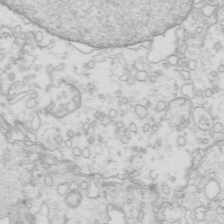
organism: Mouse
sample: Multiciliated cells